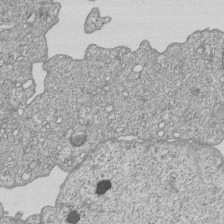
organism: Human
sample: MDA-MB-231 cells